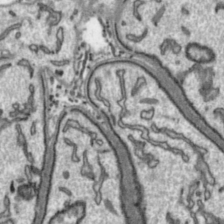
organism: Toxoplasma gondii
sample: Parasites in a vacuole inside a host cell